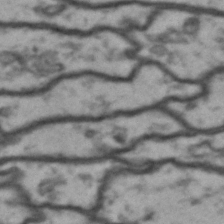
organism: Drosophila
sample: Brain